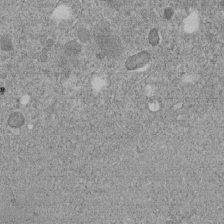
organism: C. elegans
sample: C. elegans embryo early stage